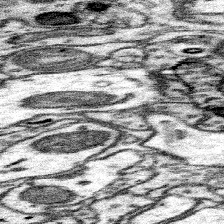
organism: Mouse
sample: Somatosensory cortex neuropil